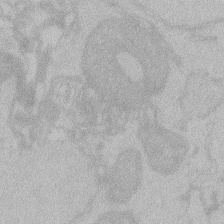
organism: Zebrafish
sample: Macrophage infected with Toxoplasma gondii